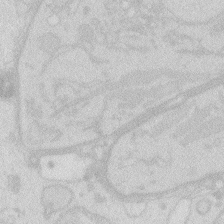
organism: Zebrafish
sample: Macrophage